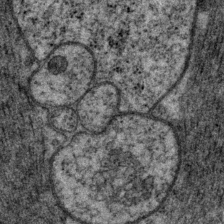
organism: P. pacificus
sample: Pharynx